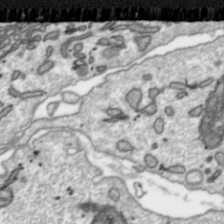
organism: Toxoplasma gondii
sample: Parasites in a vacuole inside a host cell